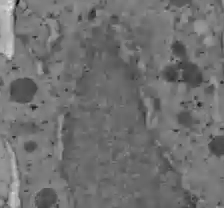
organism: C57BL Mouse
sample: Liver